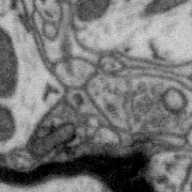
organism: Zebra finch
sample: Brain